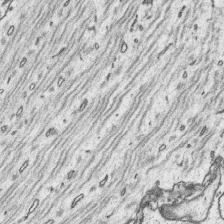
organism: Platynereis dumerilii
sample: Parapodia